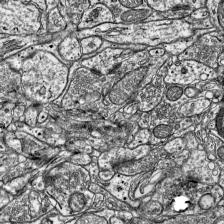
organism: Mouse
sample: Visual Cortex